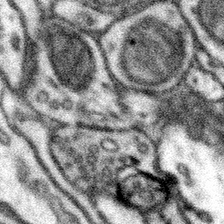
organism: Mouse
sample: Somatosensory cortex neuropil